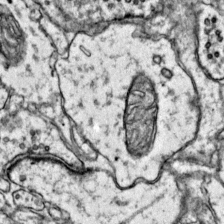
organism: Mouse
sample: Primary visual cortex